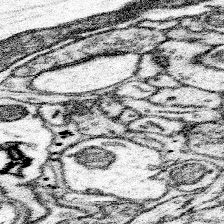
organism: Mouse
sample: Somatosensory cortex neuropil